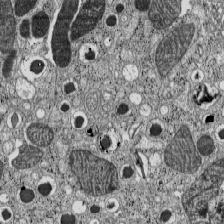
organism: C57BL Mouse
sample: Pancreatic islet